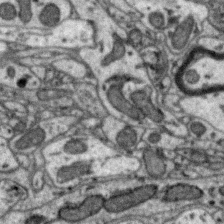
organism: Zebra finch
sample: Brain